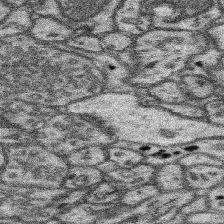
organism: Mouse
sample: Somatosensory cortex neuropil